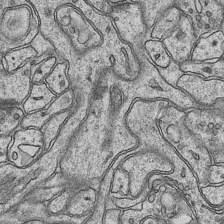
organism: Mouse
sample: CA1 Hippocampus